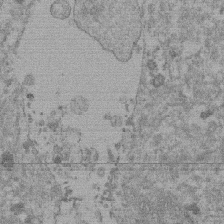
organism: Mouse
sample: Dividing mouse embryo 1 cell stage